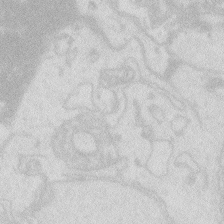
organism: Zebrafish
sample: Macrophage